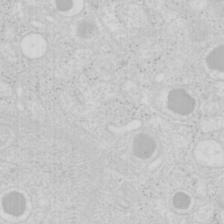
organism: Mouse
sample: Pancreas